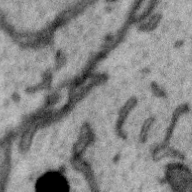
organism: Zebra finch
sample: Brain